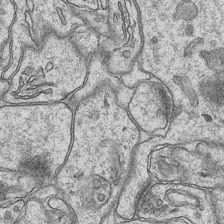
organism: Mouse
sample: CA1 Hippocampus